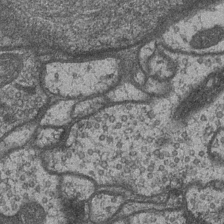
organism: Drosophila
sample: Optic medulla